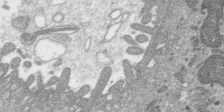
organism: Human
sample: Lung epithelial cells infected with SARS-CoV-2